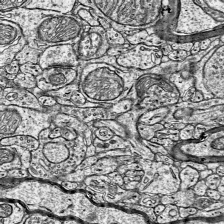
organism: Mouse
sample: Visual Cortex